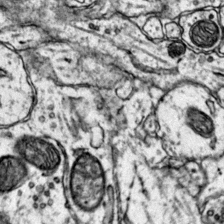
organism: Mouse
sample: Primary visual cortex